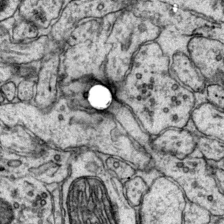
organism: Mouse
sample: Primary visual cortex